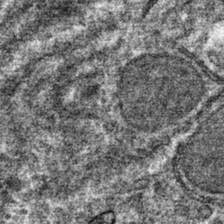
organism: Mouse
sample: Mouse hepatocytes